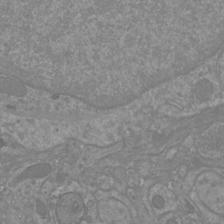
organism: Mouse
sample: Cortical neurons